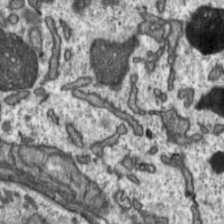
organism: Toxoplasma gondii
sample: Parasites in a vacuole inside a host cell